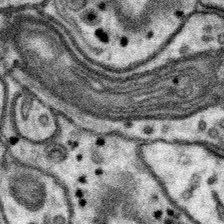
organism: Mouse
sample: Somatosensory cortex neuropil